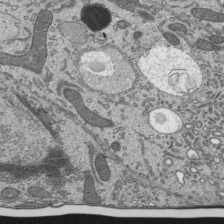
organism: Mouse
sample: Mouse epididymis efferent ductule cilia